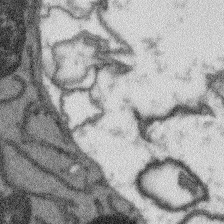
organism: Arabidopsis thaliana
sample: Root tip